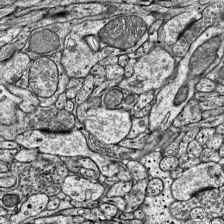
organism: Mouse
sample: Visual Cortex